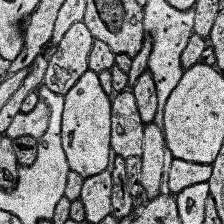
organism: Human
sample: Temporal Lobe